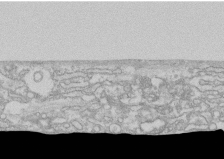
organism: Human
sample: CRL-1474